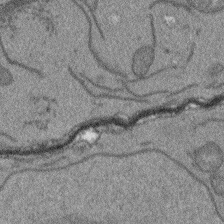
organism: Arabidopsis thaliana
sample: Root tip